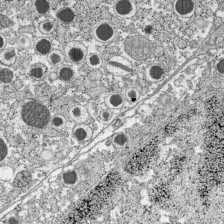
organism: C57BL Mouse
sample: Pancreatic islet